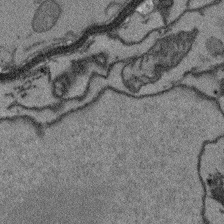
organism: Arabidopsis thaliana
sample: Root tip